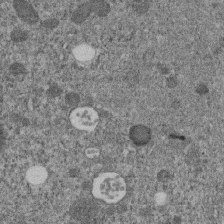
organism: C. elegans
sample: C. elegans embryo early stage